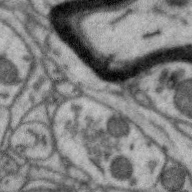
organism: Zebra finch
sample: Brain